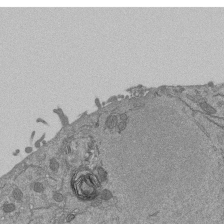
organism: Mouse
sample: ED-1 cell nuclei; centrioles